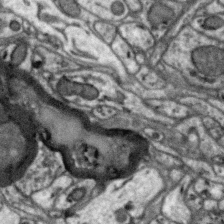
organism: Zebra finch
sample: Brain